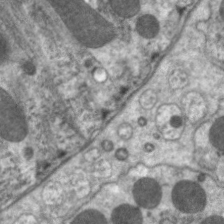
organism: C. elegans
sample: Pharynx